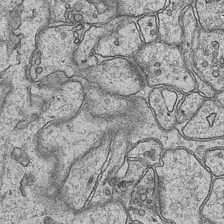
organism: Mouse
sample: CA1 Hippocampus